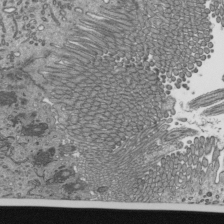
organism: Mouse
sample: Mouse epididymis efferent ductule cilia